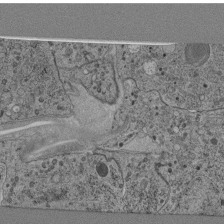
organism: C. elegans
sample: C. elegans pharynx